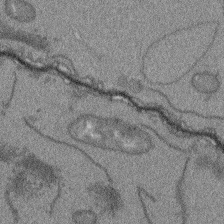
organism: Arabidopsis thaliana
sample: Root tip